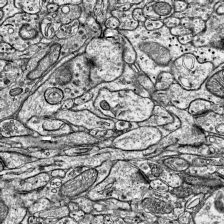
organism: Mouse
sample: Visual Cortex